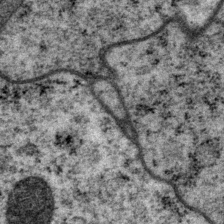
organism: P. pacificus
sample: Pharynx